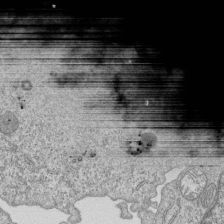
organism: Human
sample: MDA-MB-231 cells